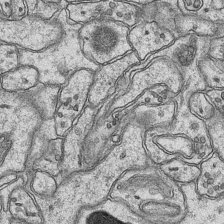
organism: Mouse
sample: CA1 Hippocampus